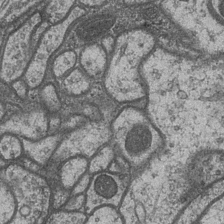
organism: Drosophila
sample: Optic medulla